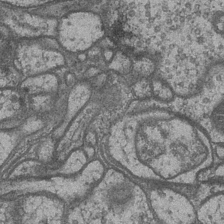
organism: Drosophila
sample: Optic medulla